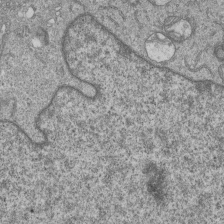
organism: Human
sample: MDA-MB-231 cells